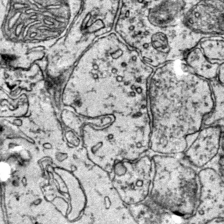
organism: Mouse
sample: Primary visual cortex